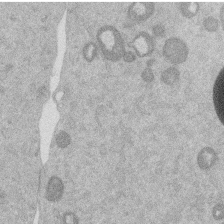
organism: Mouse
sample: Dividing mouse embryo 1 cell stage